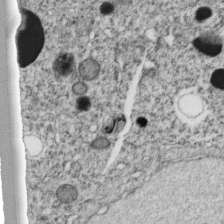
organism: C. elegans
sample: C. elegans embryo early stage